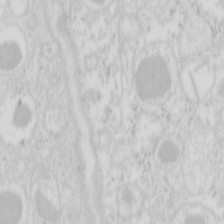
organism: Mouse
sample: Pancreas